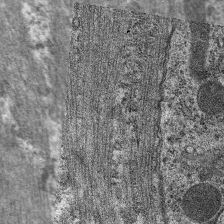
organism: C. elegans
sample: Pharynx